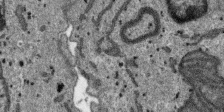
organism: Human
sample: Lung epithelial cells, uninfected (mock) control